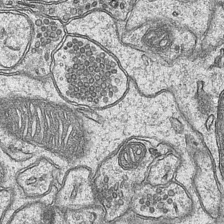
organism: Mouse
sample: CA1 Hippocampus